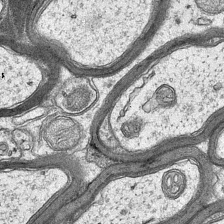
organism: Mouse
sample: CA1 Hippocampus